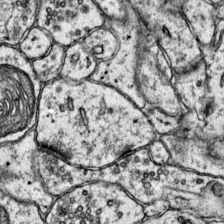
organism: Mouse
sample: Primary visual cortex